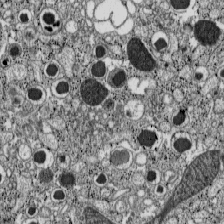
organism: C57BL Mouse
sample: Pancreatic islet